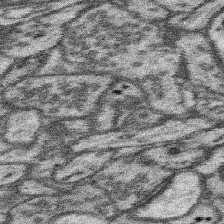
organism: Mouse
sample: Somatosensory cortex neuropil